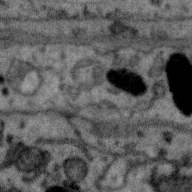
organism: Zebra finch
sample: Brain